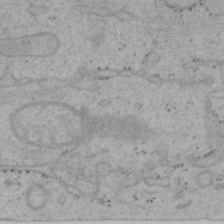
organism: Human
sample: HeLa cells